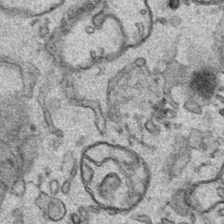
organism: Human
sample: Mitochondria in HCT116 cells